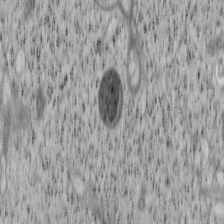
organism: Human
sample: HeLa cells